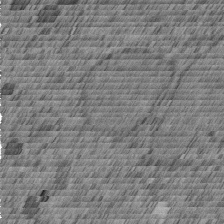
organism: C. elegans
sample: C. elegans embryo early stage